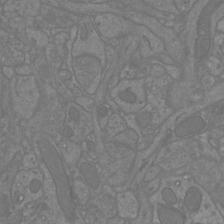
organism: Mouse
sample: Cortical neurons